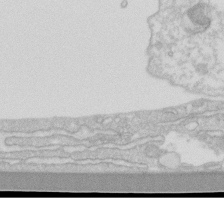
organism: Human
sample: Fibroblast cells